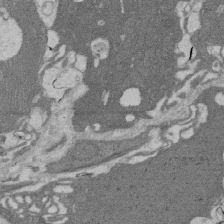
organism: Rat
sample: Salivary granule